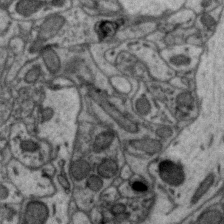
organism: Zebra finch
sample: Brain